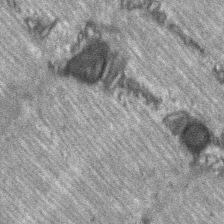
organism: C57BL Mouse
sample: Soleus